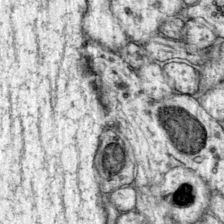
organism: Mouse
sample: Primary visual cortex